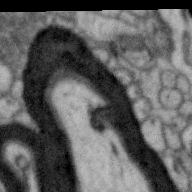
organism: Zebra finch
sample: Brain